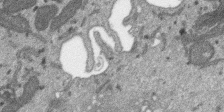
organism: Human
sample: Lung epithelial cells infected with SARS-CoV-2